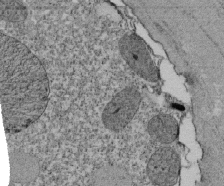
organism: Tetrahymena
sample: Cilia in tetrahymena